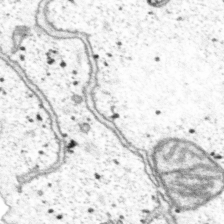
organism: Human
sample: HeLa cells